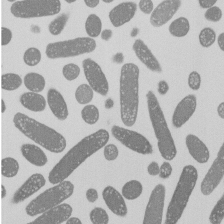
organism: E. coli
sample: Bacterial nucleoid